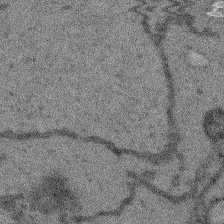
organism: Arabidopsis thaliana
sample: Root tip